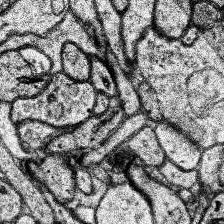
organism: Human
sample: Temporal Lobe